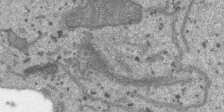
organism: Human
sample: Lung epithelial cells infected with SARS-CoV-2